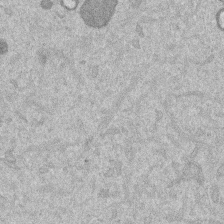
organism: Mouse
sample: Dividing mouse embryo 1 cell stage